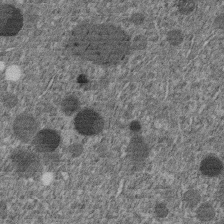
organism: C. elegans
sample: C. elegans embryo early stage